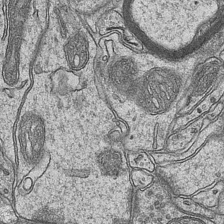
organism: Mouse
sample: CA1 Hippocampus